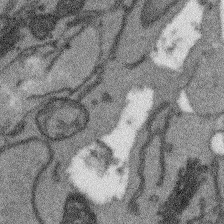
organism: Arabidopsis thaliana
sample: Root tip